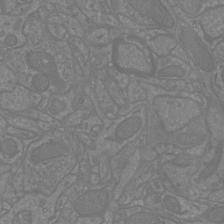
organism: Mouse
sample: Cortical neurons